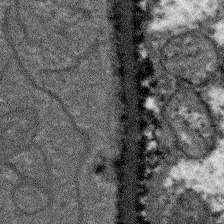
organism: Arabidopsis thaliana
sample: Root tip